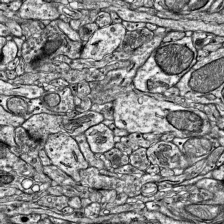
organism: Mouse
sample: Visual Cortex